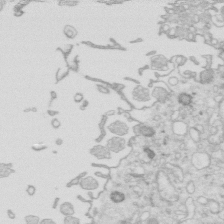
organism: Mouse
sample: Multiciliated cells